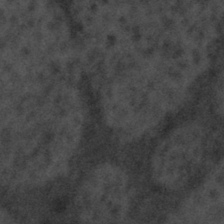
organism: Tuwongella immobilis